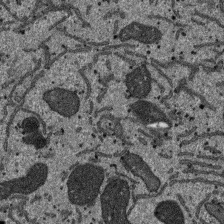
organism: Human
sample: Lung epithelial cells infected with SARS-CoV-2